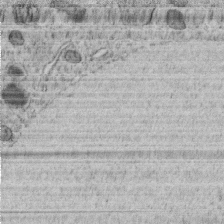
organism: C. elegans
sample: C. elegans embryo early stage